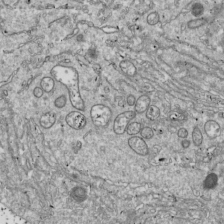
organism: Drosophila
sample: Cell division; meiosis; drosophila spermatocytes